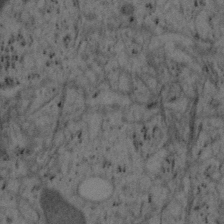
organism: Human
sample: HeLa cells